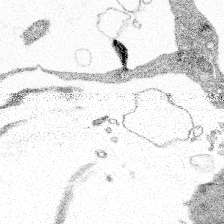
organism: Spongilla lacustris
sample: Multiple